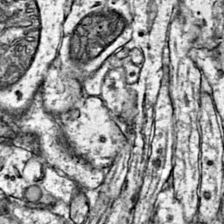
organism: Mouse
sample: Primary visual cortex